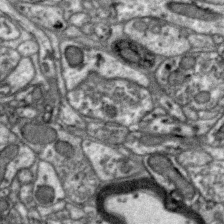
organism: Zebra finch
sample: Brain